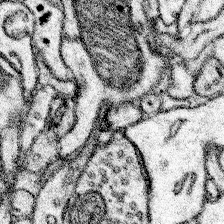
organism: Mouse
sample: Somatosensory cortex neuropil